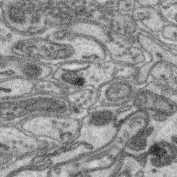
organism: Mouse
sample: Retina